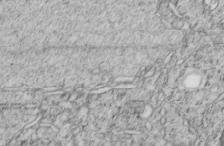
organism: C. elegans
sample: C. elegans embryo early stage